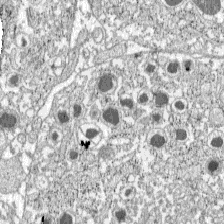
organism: C57BL Mouse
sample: Pancreatic islet